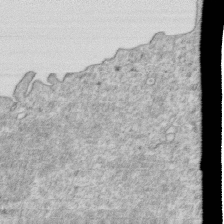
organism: Mouse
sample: Activated OT-1 CD8+ T cells